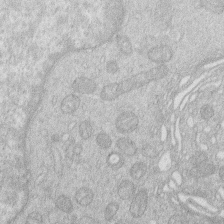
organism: Human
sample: Macrophage cells